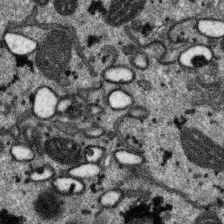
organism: Human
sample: Lung epithelial cells infected with SARS-CoV-2